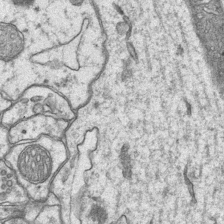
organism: Mouse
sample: CA1 Hippocampus